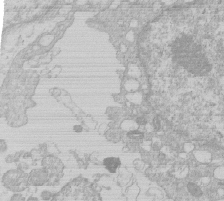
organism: Human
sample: Macrophage cells